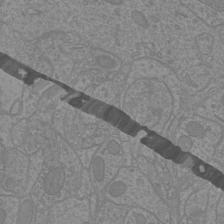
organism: Mouse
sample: Cortical neurons